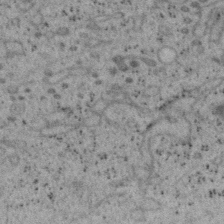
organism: Human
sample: HeLa cells